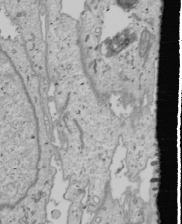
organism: Human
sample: Mitochondria in U2OS cells